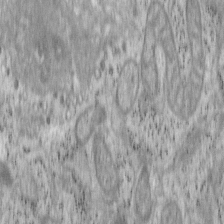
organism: Human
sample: HeLa cells